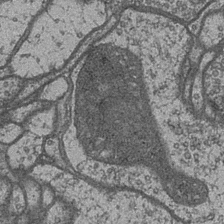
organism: Drosophila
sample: Optic medulla